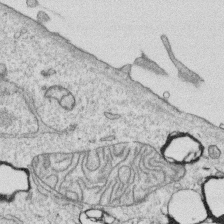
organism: Human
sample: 1205lu cells